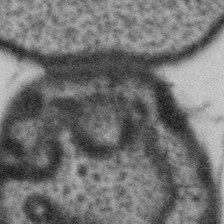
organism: Gemmata obscuriglobus